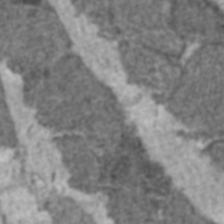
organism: C57BL Mouse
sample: Heart